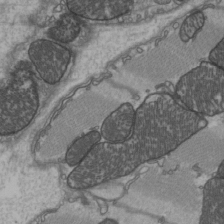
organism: C57BL Mouse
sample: Heart